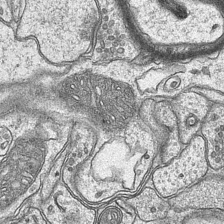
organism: Mouse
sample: CA1 Hippocampus